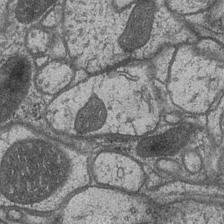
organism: Drosophila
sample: Optic medulla